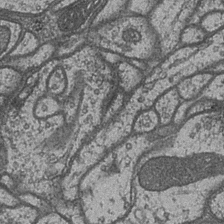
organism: Drosophila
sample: Optic medulla